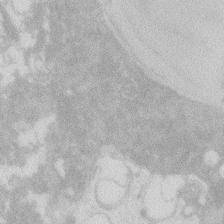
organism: Zebrafish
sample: Macrophage